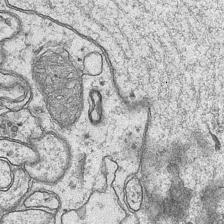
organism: Mouse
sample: CA1 Hippocampus